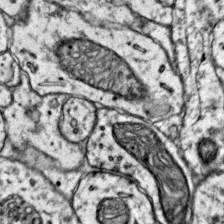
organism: Mouse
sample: Primary visual cortex